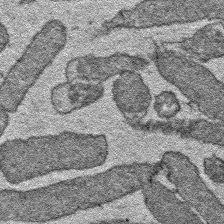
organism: E. coli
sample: E. Coli Bacteria